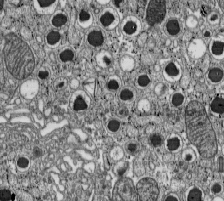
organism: C57BL Mouse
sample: Pancreatic islet